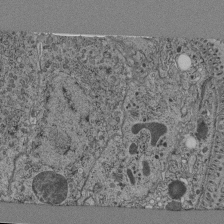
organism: C. elegans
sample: C. elegans pharynx